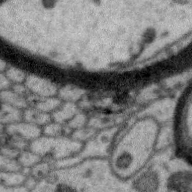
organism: Zebra finch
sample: Brain